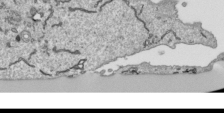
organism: Human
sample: Mitochondria in HCT116 cells